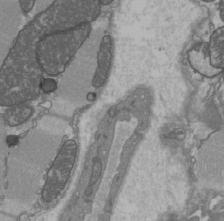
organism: C57BL Mouse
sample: Heart